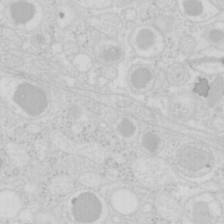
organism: Mouse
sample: Pancreas